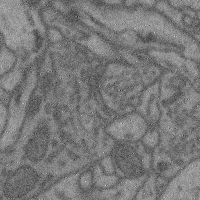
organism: Mouse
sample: Cerebral cortex